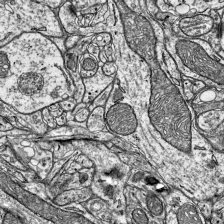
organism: Mouse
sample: Visual Cortex